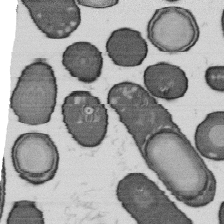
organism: B. subtilis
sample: Bacterial spore